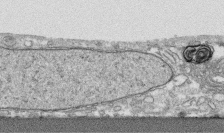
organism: Human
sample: CRL-1474